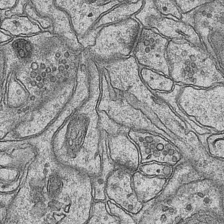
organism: Mouse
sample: CA1 Hippocampus